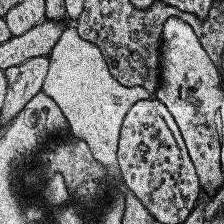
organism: Human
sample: Temporal Lobe